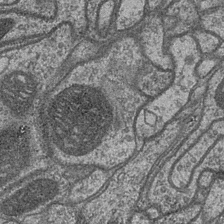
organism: Drosophila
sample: Optic medulla